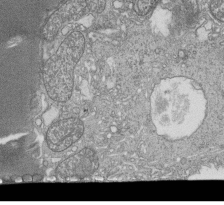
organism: Tetrahymena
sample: Cilia in tetrahymena